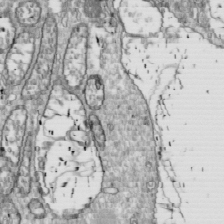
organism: Drosophila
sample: Cell division; meiosis; drosophila spermatocytes